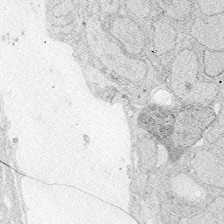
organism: Zebrafish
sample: Whole-Brain